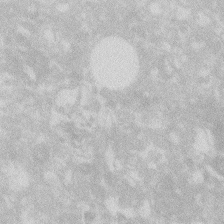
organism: Zebrafish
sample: Macrophage